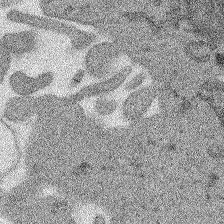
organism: Human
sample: HeLa cells